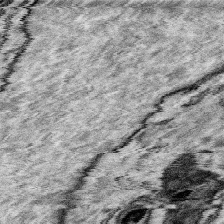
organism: Human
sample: HeLa cells